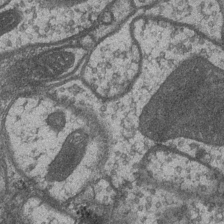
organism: Drosophila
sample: Optic medulla